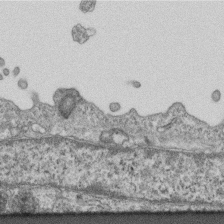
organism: Mouse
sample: Centriole in ependymal cells